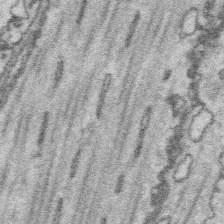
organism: Platynereis dumerilii